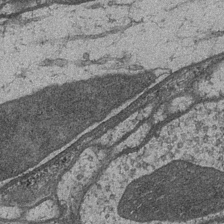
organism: Drosophila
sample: Optic medulla